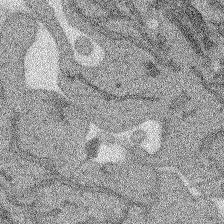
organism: Human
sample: HeLa cells